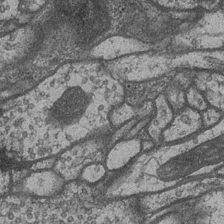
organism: Drosophila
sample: Optic medulla